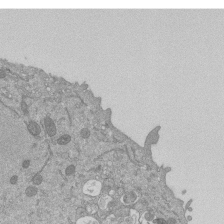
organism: Mouse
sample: ED-1 cell nuclei; centrioles